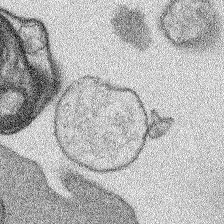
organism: Human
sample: HeLa cells